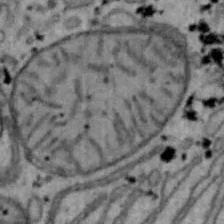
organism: Mouse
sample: Liver